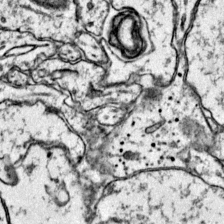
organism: Mouse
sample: Primary visual cortex